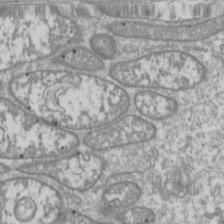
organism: Drosophila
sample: Cell division; meiosis; drosophila spermatocytes